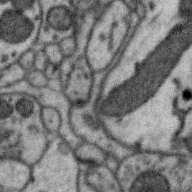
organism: Zebra finch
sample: Brain